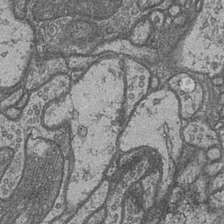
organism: Drosophila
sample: Optic medulla